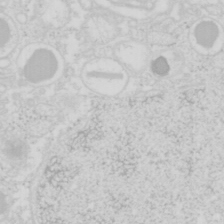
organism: Mouse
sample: Pancreas